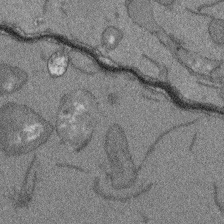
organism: Arabidopsis thaliana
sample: Root tip